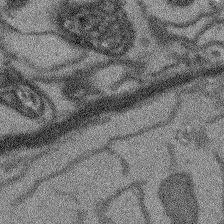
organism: Arabidopsis thaliana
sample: Root tip